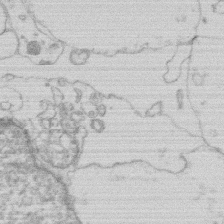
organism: Human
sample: Macrophage cells